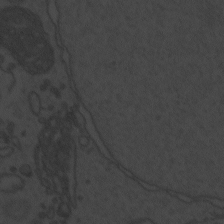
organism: Zebrafish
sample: Macrophage infected with Toxoplasma gondii